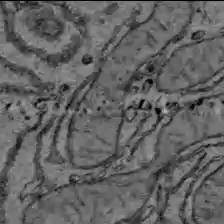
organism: C57BL Mouse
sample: Liver